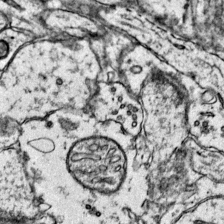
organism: Mouse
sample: Primary visual cortex